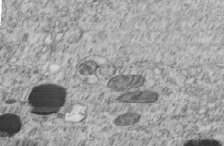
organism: C. elegans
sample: C. elegans embryo early stage